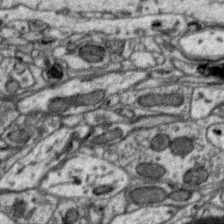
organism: Zebra finch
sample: Brain